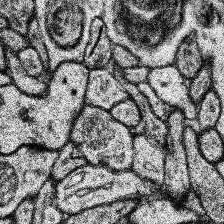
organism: Human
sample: Temporal Lobe